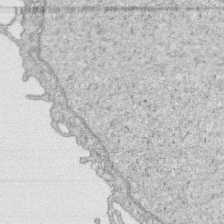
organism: Human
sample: HeLa cell HIV synapse